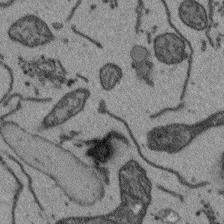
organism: Arabidopsis thaliana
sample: Root tip